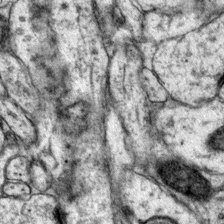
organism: Mouse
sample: Primary visual cortex